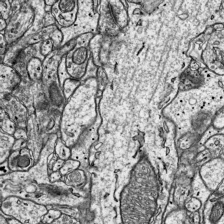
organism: Mouse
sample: Visual Cortex